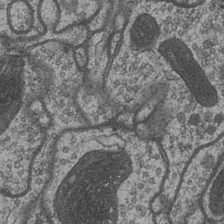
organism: Drosophila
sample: Optic medulla